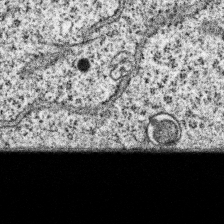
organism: Human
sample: HeLa cells